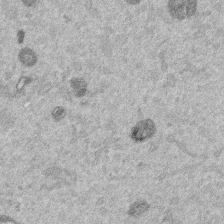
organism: Mouse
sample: Dividing mouse embryo 1 cell stage